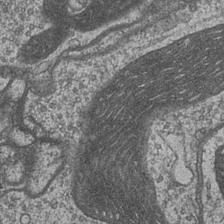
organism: Drosophila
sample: Optic medulla